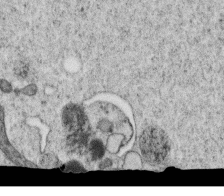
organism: C. elegans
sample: C. elegans oocyte; sperm cells